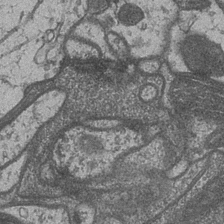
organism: Drosophila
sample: Optic medulla